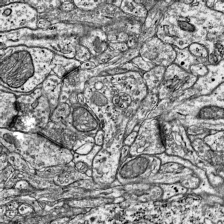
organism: Mouse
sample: Visual Cortex